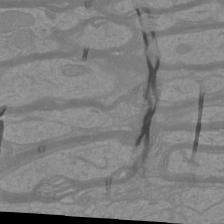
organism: Mouse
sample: Cortical neurons